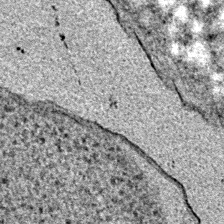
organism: E. coli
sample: E. Coli Bacteria